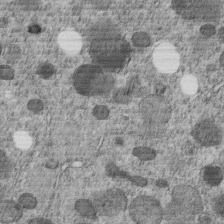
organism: C. elegans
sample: C. elegans embryo early stage